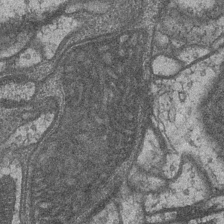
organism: Drosophila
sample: Optic medulla